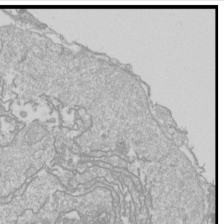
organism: Drosophila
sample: Cell division; meiosis; drosophila spermatocytes